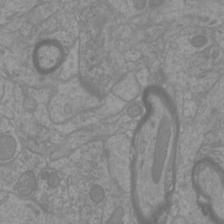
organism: Mouse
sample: Cortical neurons